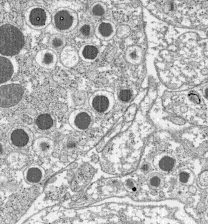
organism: C57BL Mouse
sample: Pancreatic islet